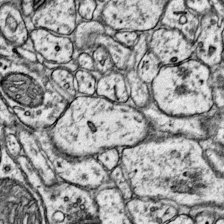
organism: Mouse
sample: Primary visual cortex